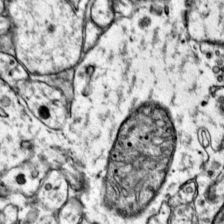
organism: Mouse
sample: Primary visual cortex